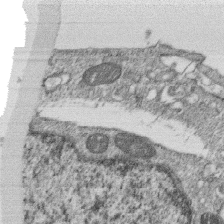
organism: African green monkey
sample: Vero E6 cells infected with SARS-CoV-2